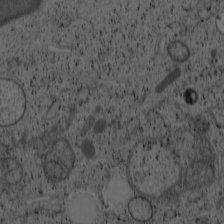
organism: African green monkey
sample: COS-7 cells